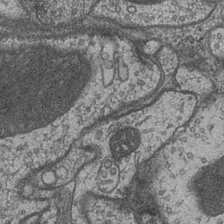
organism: Drosophila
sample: Optic medulla